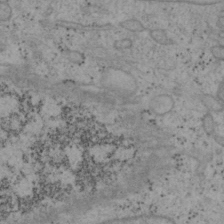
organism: Human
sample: HeLa cells